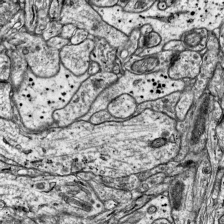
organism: Mouse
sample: Visual Cortex